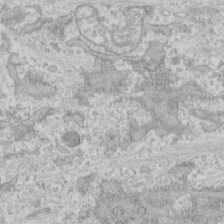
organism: Human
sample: CRL-1474